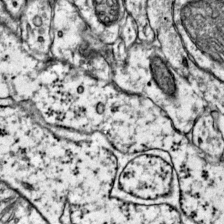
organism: Mouse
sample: Primary visual cortex